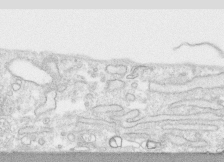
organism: Human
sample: CRL-1474